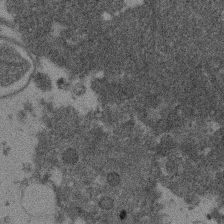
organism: Mouse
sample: Dividing mouse embryo 1 cell stage